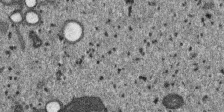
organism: Human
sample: Lung epithelial cells infected with SARS-CoV-2